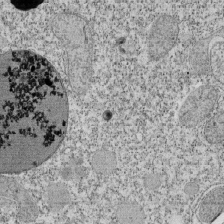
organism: Tetrahymena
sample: Cilia in tetrahymena